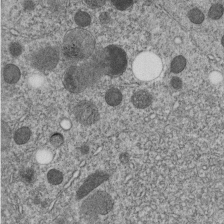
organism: C. elegans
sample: C. elegans embryo early stage